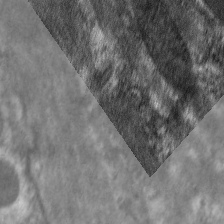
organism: C. elegans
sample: Pharynx